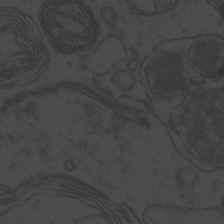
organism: Zebrafish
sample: Macrophage infected with Toxoplasma gondii